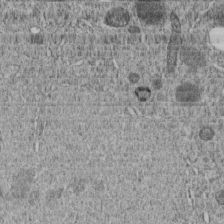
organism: C. elegans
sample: C. elegans embryo early stage